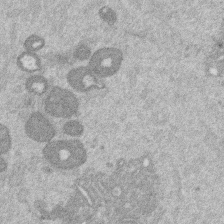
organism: Mouse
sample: Dividing mouse embryo 1 cell stage